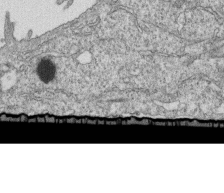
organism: Human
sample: HeLa cell HIV synapse